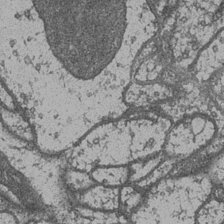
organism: Drosophila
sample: Optic medulla